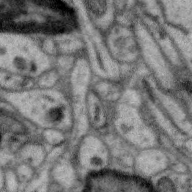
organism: Zebra finch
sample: Brain